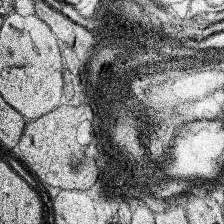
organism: Human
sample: Temporal Lobe